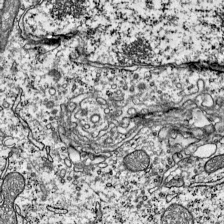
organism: Mouse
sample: Visual Cortex